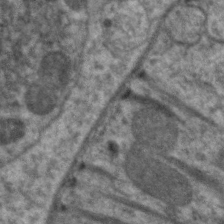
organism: C. elegans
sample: Pharynx